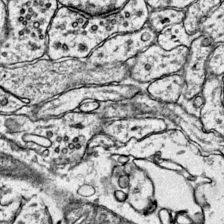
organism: Mouse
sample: Primary visual cortex